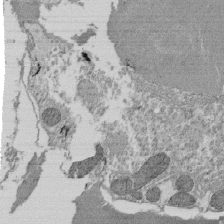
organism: Tetrahymena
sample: Cilia in tetrahymena